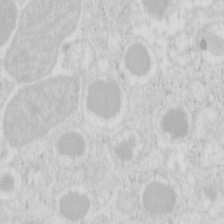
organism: Mouse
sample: Pancreas